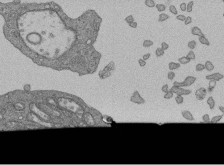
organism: Human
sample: Retinal organoid Rod and Cone cells